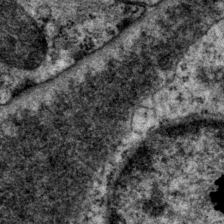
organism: P. pacificus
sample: Pharynx